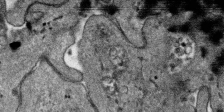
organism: Human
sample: Lung epithelial cells, uninfected (mock) control